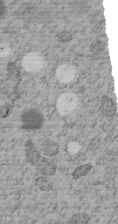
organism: C. elegans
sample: C. elegans embryo early stage